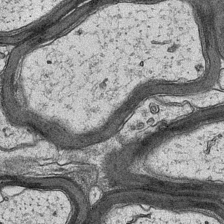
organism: Mouse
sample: CA1 Hippocampus